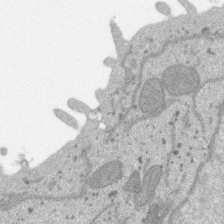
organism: Human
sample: Lung epithelial cells infected with SARS-CoV-2